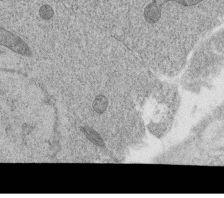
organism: C. elegans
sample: C. elegans oocyte; sperm cells